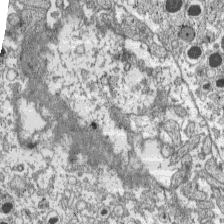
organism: C57BL Mouse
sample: Pancreatic islet